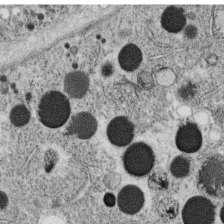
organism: C. elegans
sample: C. elegans oocyte; sperm cells